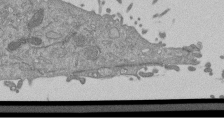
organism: Mouse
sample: ED-1 cell nuclei; centrioles